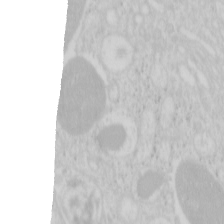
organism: Mouse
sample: Pancreas